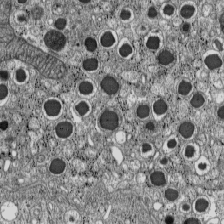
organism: C57BL Mouse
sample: Pancreatic islet